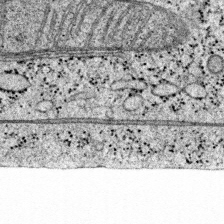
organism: Human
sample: HeLa cells